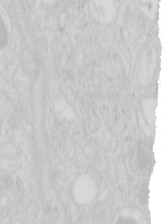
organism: Mouse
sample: Pancreas